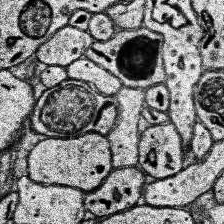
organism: Human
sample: Temporal Lobe